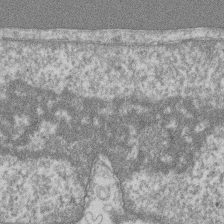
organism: Mouse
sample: T cell stromal cell synapse